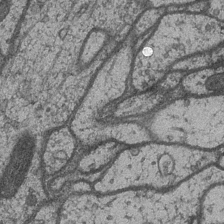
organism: Drosophila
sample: Optic medulla